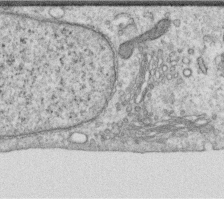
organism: Human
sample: Centriole in RPE cells